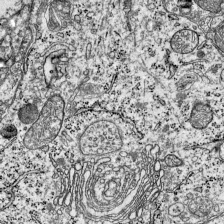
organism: Mouse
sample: Visual Cortex